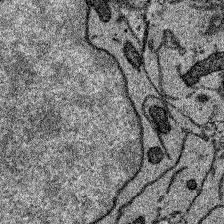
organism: Zebrafish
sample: Larval olfactory bulb